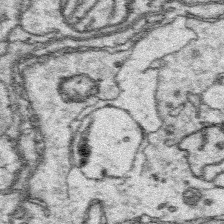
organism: Platynereis dumerilii